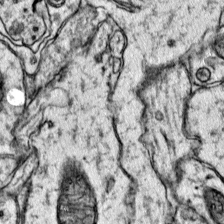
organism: Mouse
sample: Primary visual cortex